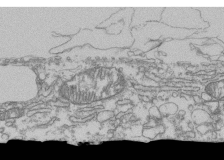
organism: Human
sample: Fibroblast cells